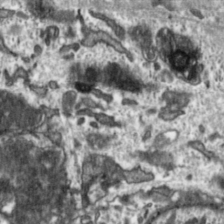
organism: Toxoplasma gondii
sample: Parasites in a vacuole inside a host cell